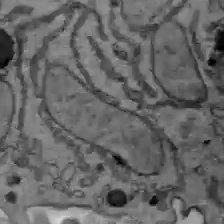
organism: C57BL Mouse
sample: Liver